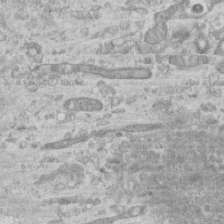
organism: Mouse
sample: Centriole in ependymal cells